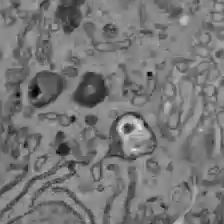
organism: C57BL Mouse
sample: Liver